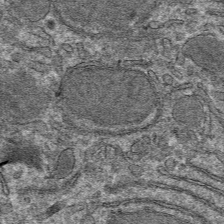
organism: Mouse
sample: Mouse hepatocytes